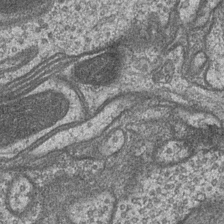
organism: Drosophila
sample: Optic medulla